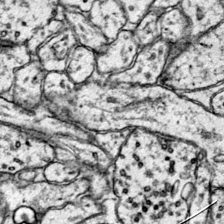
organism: Mouse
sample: Primary visual cortex